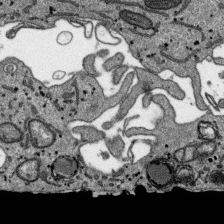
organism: Human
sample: Lung epithelial cells, uninfected (mock) control